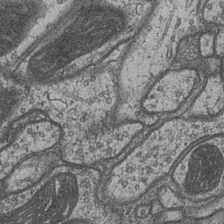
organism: Drosophila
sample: Optic medulla